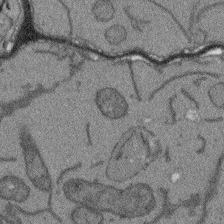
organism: Arabidopsis thaliana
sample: Root tip